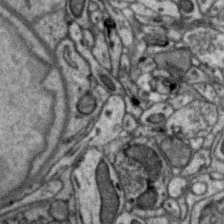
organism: Zebra finch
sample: Brain